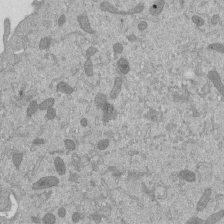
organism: Mouse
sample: ED-1 cell nuclei; centrioles